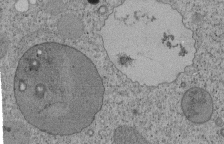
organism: Tetrahymena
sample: Cilia in tetrahymena